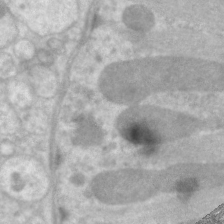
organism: C. elegans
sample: Pharynx